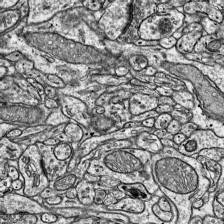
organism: Mouse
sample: Visual Cortex